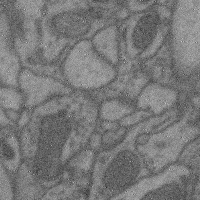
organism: Mouse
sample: Cerebral cortex